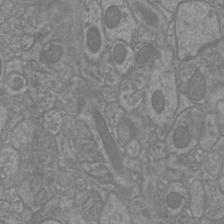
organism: Mouse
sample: Cortical neurons